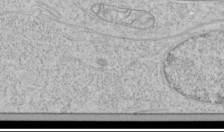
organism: Human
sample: Mitochondria in HCT116 cells